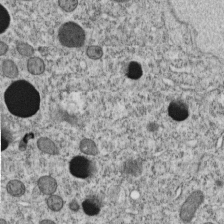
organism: C. elegans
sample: C. elegans embryo early stage